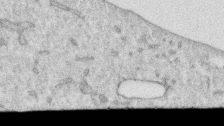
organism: Human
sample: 1205lu cells